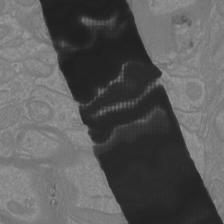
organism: Mouse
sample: Cortical neurons